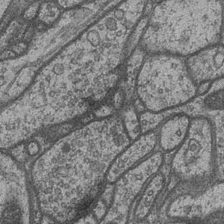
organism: Drosophila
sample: Optic medulla